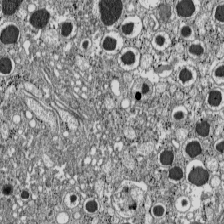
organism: C57BL Mouse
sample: Pancreatic islet